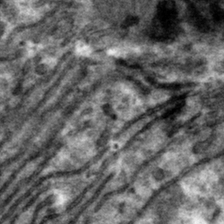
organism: Mouse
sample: Mouse hepatocytes